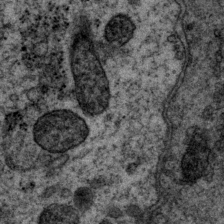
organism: P. pacificus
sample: Pharynx